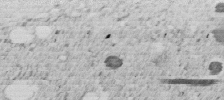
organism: C. elegans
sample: C. elegans embryo early stage